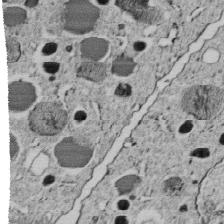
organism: C. elegans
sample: C. elegans embryo early stage